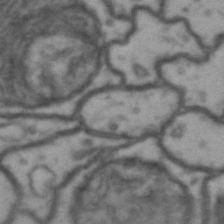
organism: Drosophila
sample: Brain